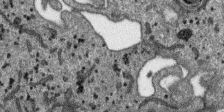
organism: Human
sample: Lung epithelial cells infected with SARS-CoV-2